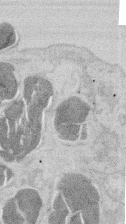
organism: Mouse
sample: T cell stromal cell synapse